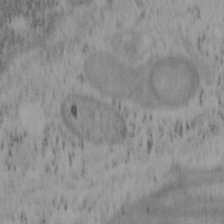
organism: Mouse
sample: OT-I killer T cells with ID8 ovarian cancer cells